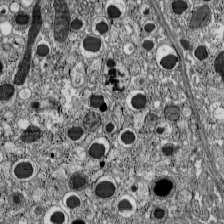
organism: C57BL Mouse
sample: Pancreatic islet